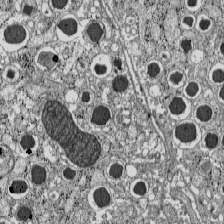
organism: C57BL Mouse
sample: Pancreatic islet